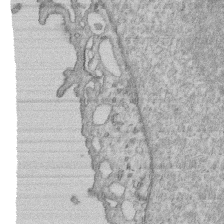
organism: Human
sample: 1205lu cells